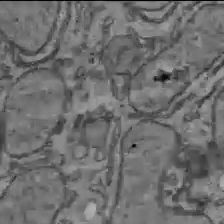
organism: C57BL Mouse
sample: Liver